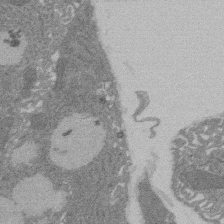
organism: Rat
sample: Salivary granule